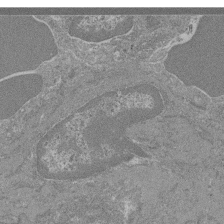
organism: Mouse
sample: Glomerulus